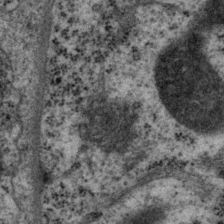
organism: P. pacificus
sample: Pharynx